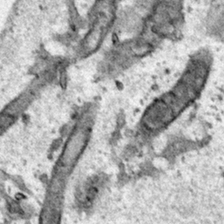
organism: Human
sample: Mitochondria in HCT116 cells